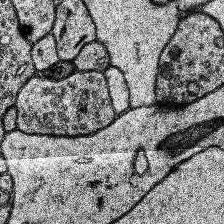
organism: Human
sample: Temporal Lobe